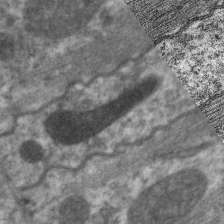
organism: C. elegans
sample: Pharynx